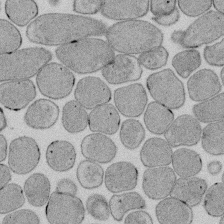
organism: E. coli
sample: Bacterial nucleoid